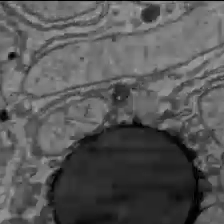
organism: C57BL Mouse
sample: Liver